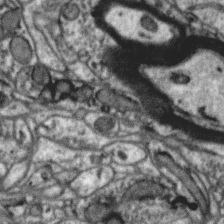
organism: Zebra finch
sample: Brain